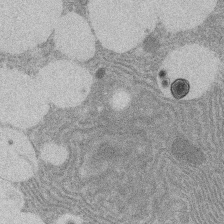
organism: Rat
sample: Salivary granule